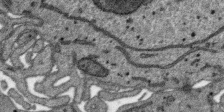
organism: Human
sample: Lung epithelial cells, uninfected (mock) control